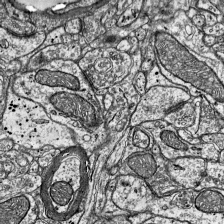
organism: Mouse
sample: Visual Cortex